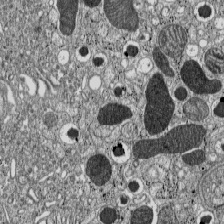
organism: C57BL Mouse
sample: Pancreatic islet